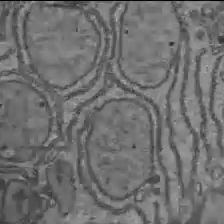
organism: C57BL Mouse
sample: Liver